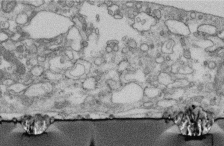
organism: Human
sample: Centriole in fibroblast cells